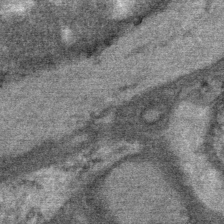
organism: Mouse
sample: Mouse Salivary gland